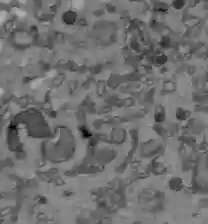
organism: C57BL Mouse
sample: Liver